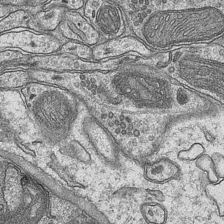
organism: Mouse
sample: CA1 Hippocampus